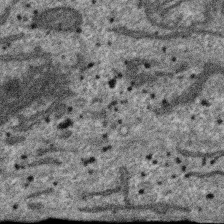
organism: Human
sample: Lung epithelial cells infected with SARS-CoV-2